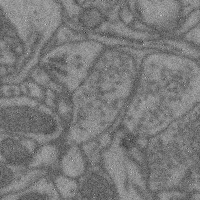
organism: Mouse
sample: Cerebral cortex